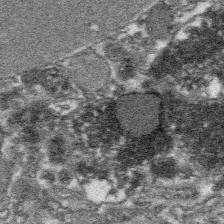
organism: Platynereis dumerilii